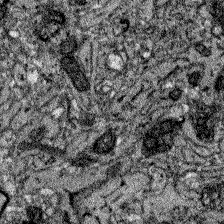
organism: Zebrafish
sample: Larval olfactory bulb